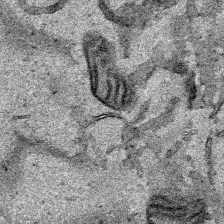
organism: Human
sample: Mitochondria in HCT116 cells